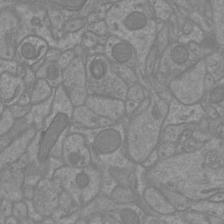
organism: Mouse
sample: Cortical neurons